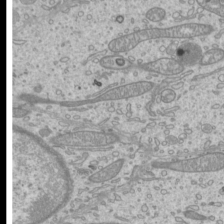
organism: Mouse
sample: Cilia; mouse epididymis